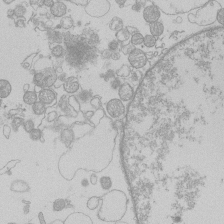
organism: Human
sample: Macrophage cells